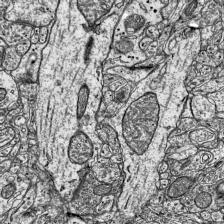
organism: Mouse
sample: Visual Cortex